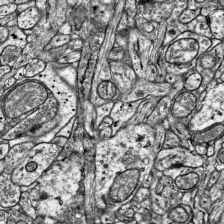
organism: Mouse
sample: Visual Cortex